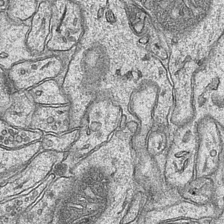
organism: Mouse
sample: CA1 Hippocampus